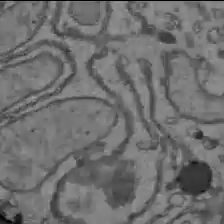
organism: C57BL Mouse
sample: Liver